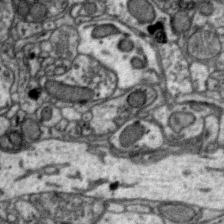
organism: Zebra finch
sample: Brain